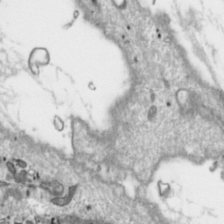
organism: Toxoplasma gondii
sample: Parasites in a vacuole inside a host cell